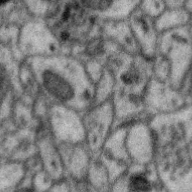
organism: Zebra finch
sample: Brain